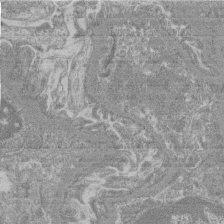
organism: Mouse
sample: Glomerulus